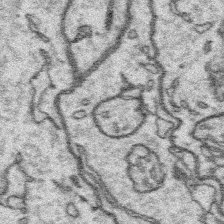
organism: Platynereis dumerilii